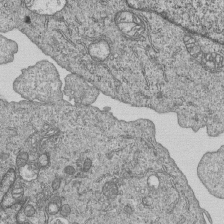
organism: Human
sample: MDA-MB-231 cells